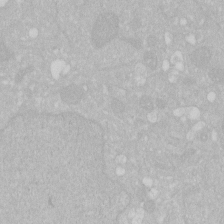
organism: Human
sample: HIV infected U937 cells